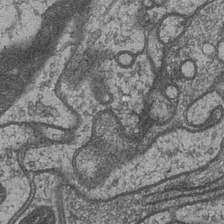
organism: Drosophila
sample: Optic medulla